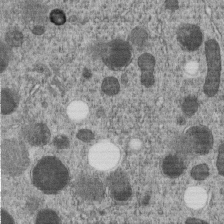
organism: C. elegans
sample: C. elegans embryo early stage